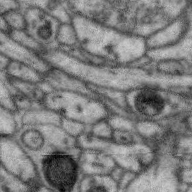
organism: Zebra finch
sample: Brain